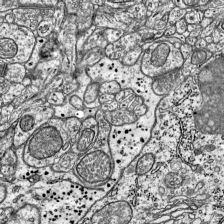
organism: Mouse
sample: Visual Cortex